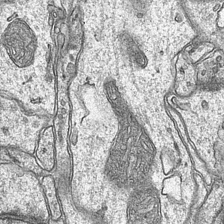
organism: Mouse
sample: CA1 Hippocampus